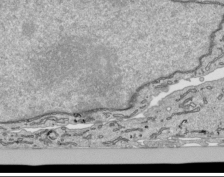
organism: Human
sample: Mitochondria in HCT116 cells